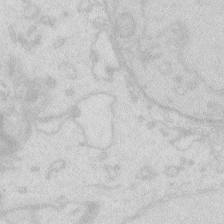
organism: Zebrafish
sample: Macrophage